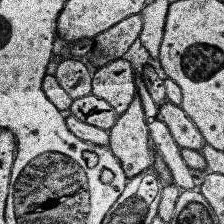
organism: Human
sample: Temporal Lobe